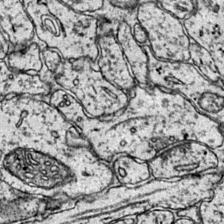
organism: Mouse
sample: Primary visual cortex